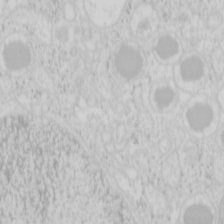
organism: Mouse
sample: Pancreas